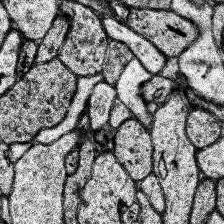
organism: Human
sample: Temporal Lobe